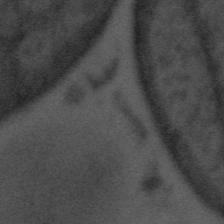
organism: Tuwongella immobilis